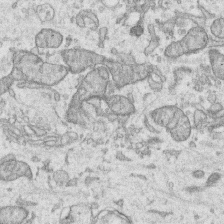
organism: Human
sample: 1205lu cells